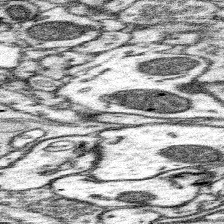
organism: Mouse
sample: Somatosensory cortex neuropil